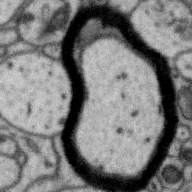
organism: Zebra finch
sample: Brain